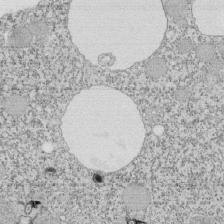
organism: Tetrahymena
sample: Cilia in tetrahymena